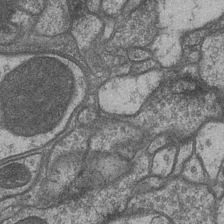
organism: Drosophila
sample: Optic medulla